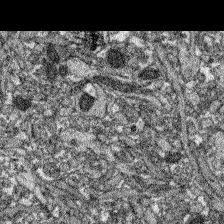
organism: Zebrafish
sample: Larval olfactory bulb